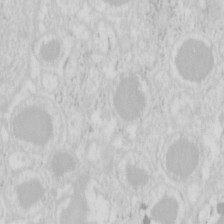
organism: Mouse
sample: Pancreas